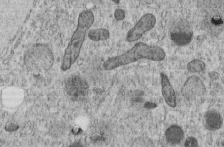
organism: C. elegans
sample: C. elegans embryo early stage